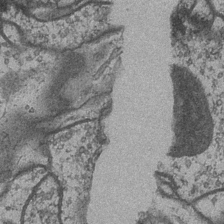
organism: Drosophila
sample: Optic medulla